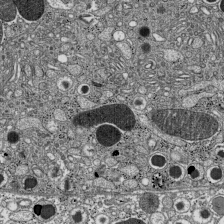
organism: C57BL Mouse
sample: Pancreatic islet